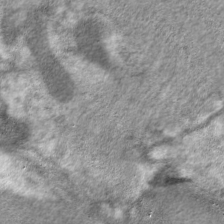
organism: C. elegans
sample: Pharynx